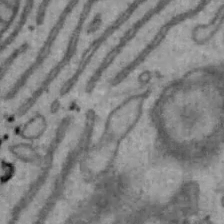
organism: Mouse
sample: Liver